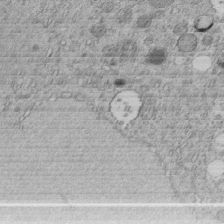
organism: C. elegans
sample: C. elegans embryo early stage